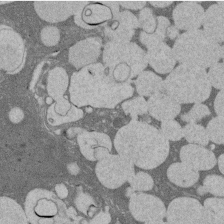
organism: Rat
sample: Salivary granule